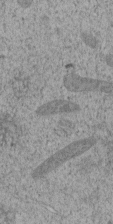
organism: C. elegans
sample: C. elegans embryo early stage